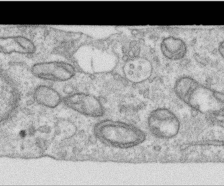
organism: Human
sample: Centriole in RPE cells